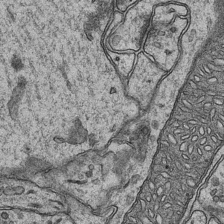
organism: Mouse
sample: CA1 Hippocampus